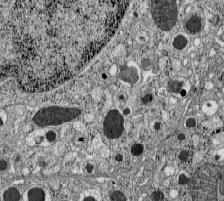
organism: C57BL Mouse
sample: Pancreatic islet